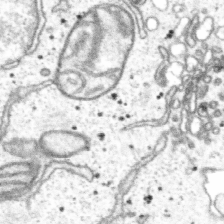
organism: Human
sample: HeLa cells